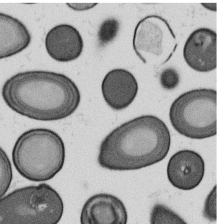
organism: B. subtilis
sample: Bacterial spore